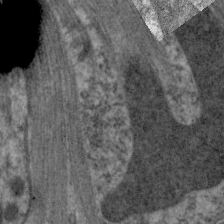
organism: C. elegans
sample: Pharynx